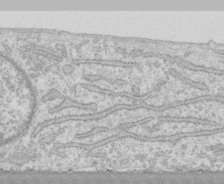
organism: Human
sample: CRL-1474